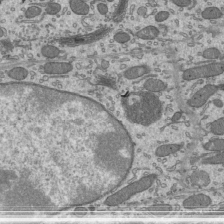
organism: Mouse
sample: Mouse epididymis efferent ductule cilia